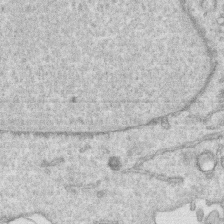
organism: Human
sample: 1205lu cells